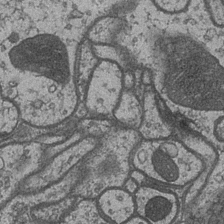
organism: Drosophila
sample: Optic medulla